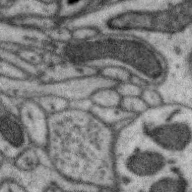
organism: Zebra finch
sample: Brain